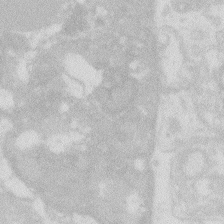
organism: Zebrafish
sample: Macrophage